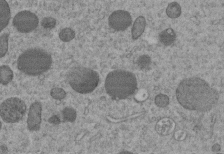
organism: C. elegans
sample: C. elegans embryo early stage